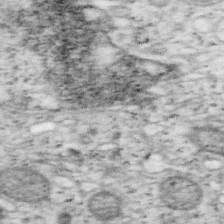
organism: Mouse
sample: OT-I killer T cells with ID8 ovarian cancer cells